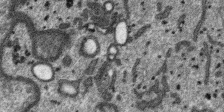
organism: Human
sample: Lung epithelial cells infected with SARS-CoV-2